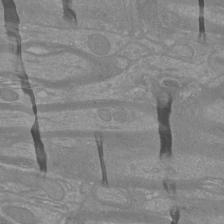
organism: Mouse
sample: Cortical neurons